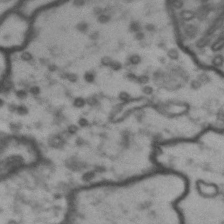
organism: Drosophila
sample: Brain